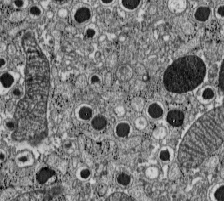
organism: C57BL Mouse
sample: Pancreatic islet